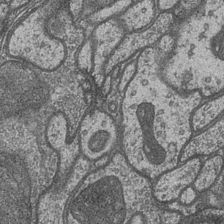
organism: Drosophila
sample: Optic medulla